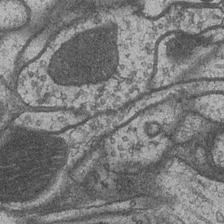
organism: Drosophila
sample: Optic medulla